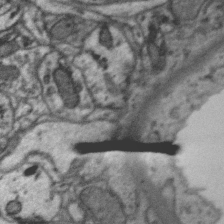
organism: Zebra finch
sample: Brain